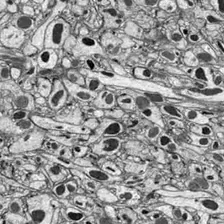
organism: Drosophila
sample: Optic lobe